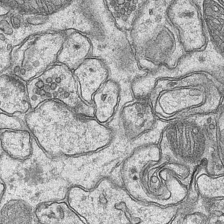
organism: Mouse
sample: CA1 Hippocampus